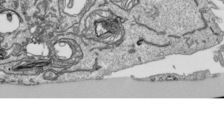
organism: Human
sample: Mitochondria in HCT116 cells